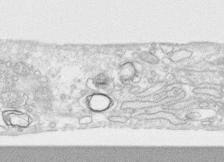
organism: Human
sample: CRL-1474